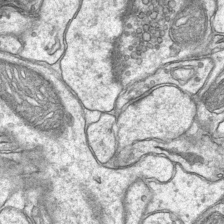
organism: Mouse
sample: CA1 Hippocampus